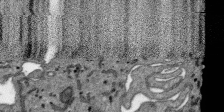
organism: Human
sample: Lung epithelial cells, uninfected (mock) control